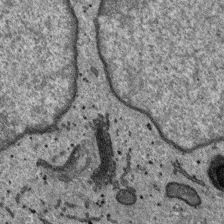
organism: Human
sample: Lung epithelial cells, uninfected (mock) control